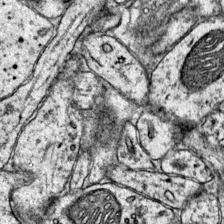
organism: Mouse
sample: Primary visual cortex